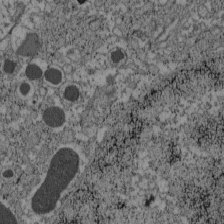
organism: C57BL Mouse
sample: Pancreatic islet